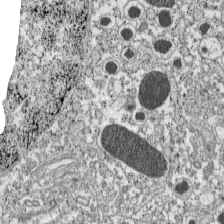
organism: C57BL Mouse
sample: Pancreatic islet